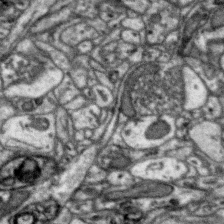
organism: Zebra finch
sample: Brain